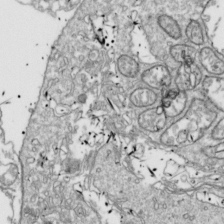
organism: Drosophila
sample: Cell division; meiosis; drosophila spermatocytes